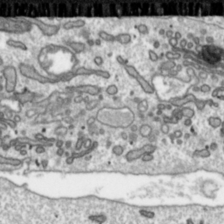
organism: Toxoplasma gondii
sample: Parasites in a vacuole inside a host cell